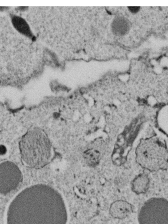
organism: C. elegans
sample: C. elegans embryo early stage